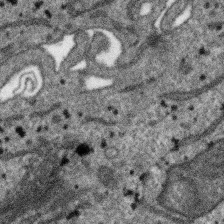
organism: Human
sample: Lung epithelial cells infected with SARS-CoV-2